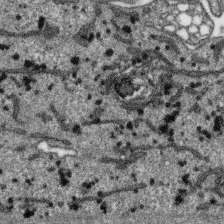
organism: Human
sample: Lung epithelial cells infected with SARS-CoV-2